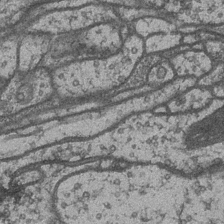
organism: Drosophila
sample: Optic medulla